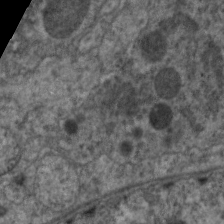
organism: C. elegans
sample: Pharynx